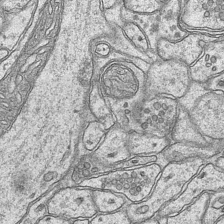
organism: Mouse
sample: CA1 Hippocampus